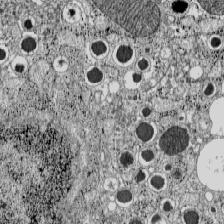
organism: C57BL Mouse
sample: Pancreatic islet